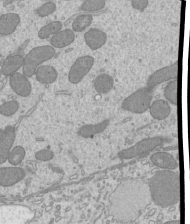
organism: Mouse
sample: Cilia; mouse epididymis